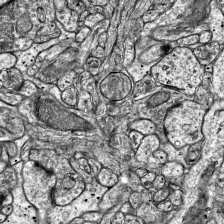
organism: Mouse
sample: Visual Cortex